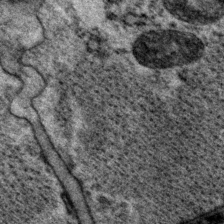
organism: P. pacificus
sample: Pharynx